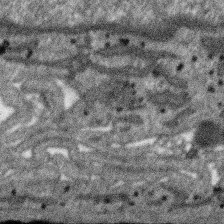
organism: Human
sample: Lung epithelial cells infected with SARS-CoV-2